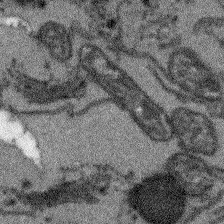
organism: Arabidopsis thaliana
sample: Root tip